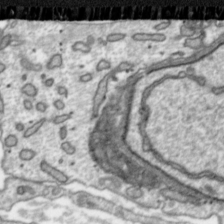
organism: Toxoplasma gondii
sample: Parasites in a vacuole inside a host cell